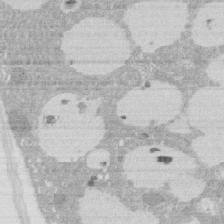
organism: Rat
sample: Salivary granule